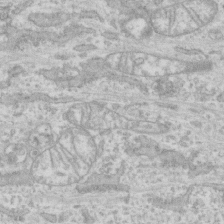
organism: Human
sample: CRL-1474